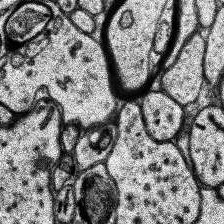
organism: Human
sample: Temporal Lobe